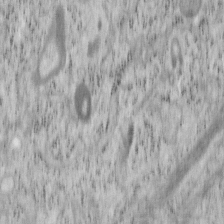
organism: Human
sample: HeLa cells